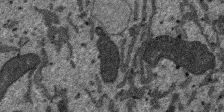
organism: Human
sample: Lung epithelial cells infected with SARS-CoV-2